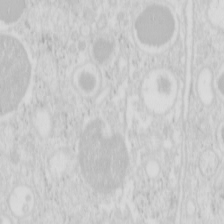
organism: Mouse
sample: Pancreas